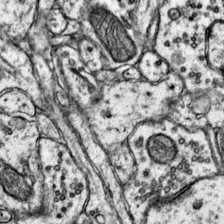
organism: Mouse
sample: Primary visual cortex